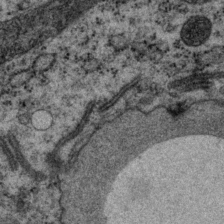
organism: P. pacificus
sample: Pharynx